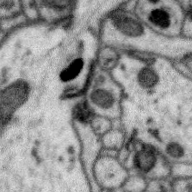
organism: Zebra finch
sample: Brain